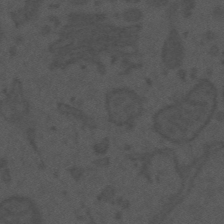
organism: Mouse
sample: Suprachiasmatic nucleus